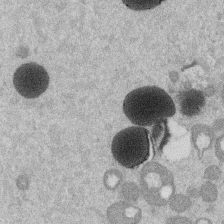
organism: Mouse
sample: Dividing mouse embryo 1 cell stage